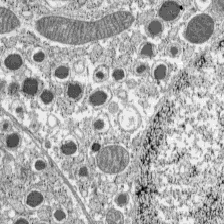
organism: C57BL Mouse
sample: Pancreatic islet